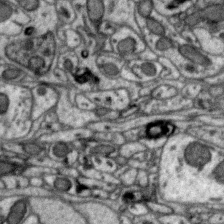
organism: Zebra finch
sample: Brain